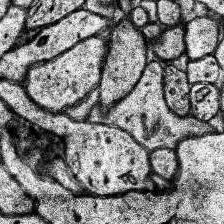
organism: Human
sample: Temporal Lobe